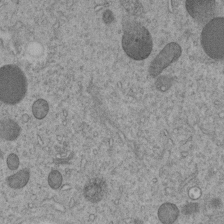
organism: C. elegans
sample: C. elegans embryo early stage